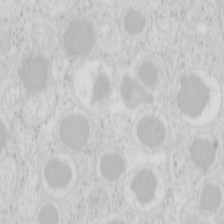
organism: Mouse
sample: Pancreas